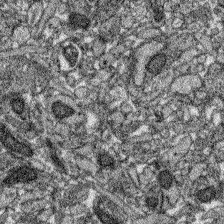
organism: Zebrafish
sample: Larval olfactory bulb